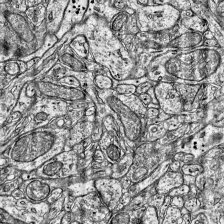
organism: Mouse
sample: Visual Cortex